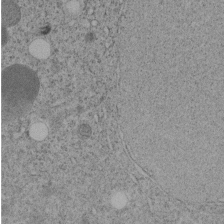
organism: C. elegans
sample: C. elegans embryo early stage